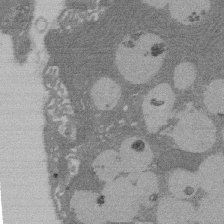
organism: Rat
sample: Salivary granule